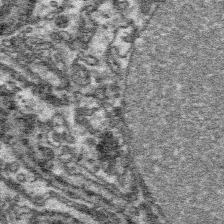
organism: Platynereis dumerilii